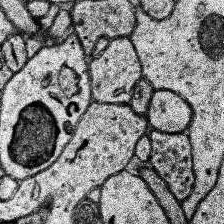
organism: Human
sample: Temporal Lobe